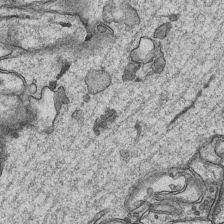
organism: Mouse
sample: CA1 Hippocampus